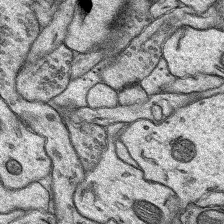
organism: Rat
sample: Hippocampus